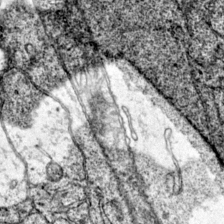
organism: Mouse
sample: Primary visual cortex